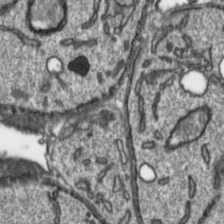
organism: Toxoplasma gondii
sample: Parasites in a vacuole inside a host cell